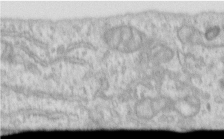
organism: Human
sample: Centriole in RPE cells